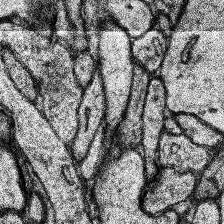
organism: Human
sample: Temporal Lobe